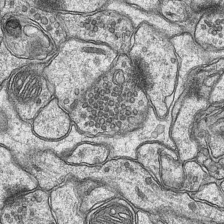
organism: Mouse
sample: CA1 Hippocampus